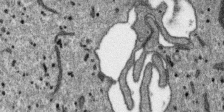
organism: Human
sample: Lung epithelial cells, uninfected (mock) control